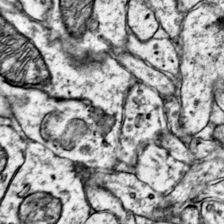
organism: Mouse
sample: Primary visual cortex